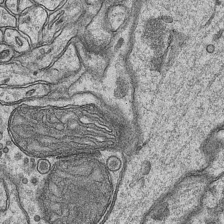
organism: Mouse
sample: CA1 Hippocampus